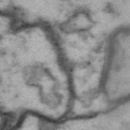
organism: Drosophila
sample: Brain